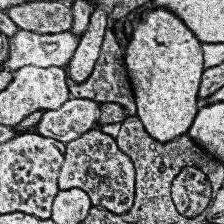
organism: Human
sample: Temporal Lobe